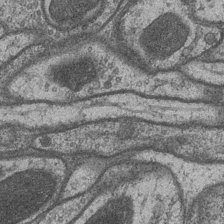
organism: Drosophila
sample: Optic medulla